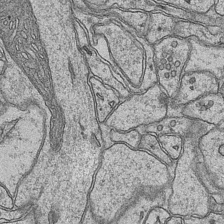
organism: Mouse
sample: CA1 Hippocampus